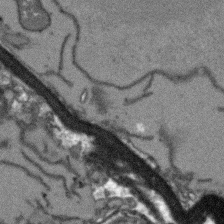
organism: Arabidopsis thaliana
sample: Root tip